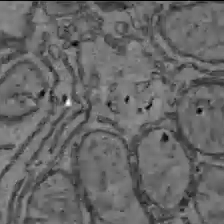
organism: C57BL Mouse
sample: Liver